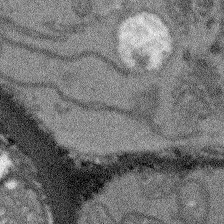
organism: Arabidopsis thaliana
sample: Root tip